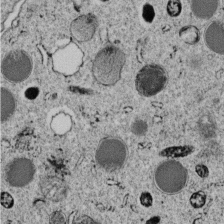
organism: C. elegans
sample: C. elegans embryo early stage